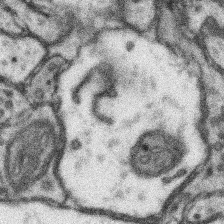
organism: Mouse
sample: Somatosensory cortex neuropil